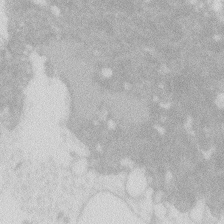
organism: Zebrafish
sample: Macrophage